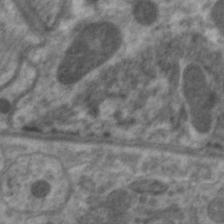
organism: C. elegans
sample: Pharynx